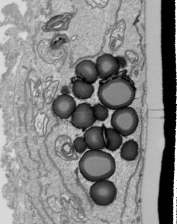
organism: Human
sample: Mitochondria in HCT116 cells